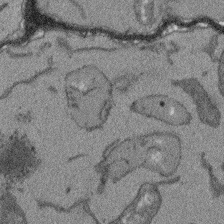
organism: Arabidopsis thaliana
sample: Root tip